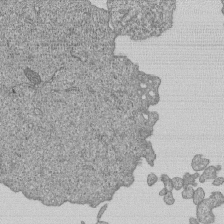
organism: Human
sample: MDA-MB-231 cells